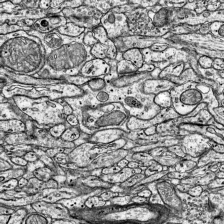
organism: Mouse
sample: Visual Cortex